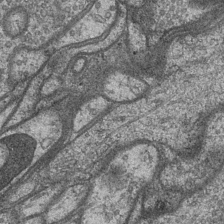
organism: Drosophila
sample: Optic medulla